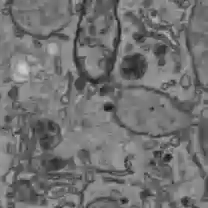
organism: C57BL Mouse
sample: Liver